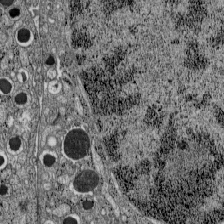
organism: C57BL Mouse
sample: Pancreatic islet